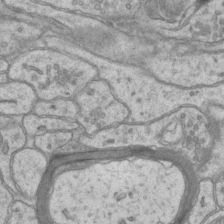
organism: Mouse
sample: CA1 Hippocampus